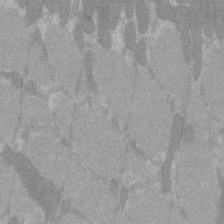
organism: C57BL Mouse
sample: Tibialis anterior muscle cell